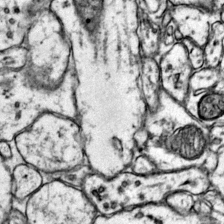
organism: Mouse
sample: Primary visual cortex